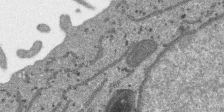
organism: Human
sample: Lung epithelial cells infected with SARS-CoV-2